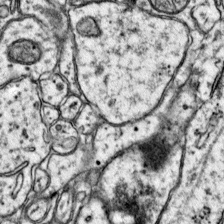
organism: Mouse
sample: Primary visual cortex